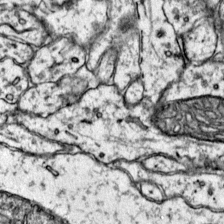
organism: Mouse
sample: Primary visual cortex